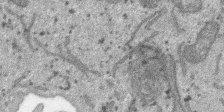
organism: Human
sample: Lung epithelial cells infected with SARS-CoV-2